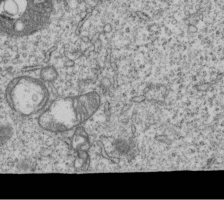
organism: Human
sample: MDA-MB-231 cells